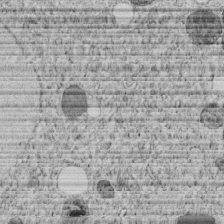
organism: C. elegans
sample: C. elegans embryo early stage